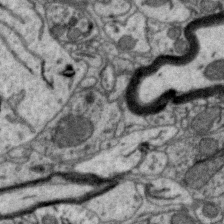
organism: Zebra finch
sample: Brain